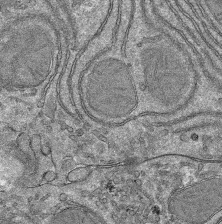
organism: Mouse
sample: Mouse hepatocytes